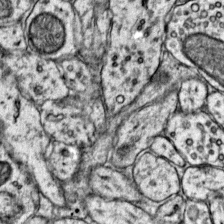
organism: Mouse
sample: Primary visual cortex